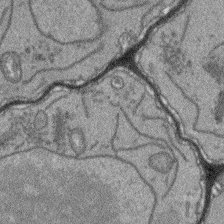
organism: Arabidopsis thaliana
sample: Root tip